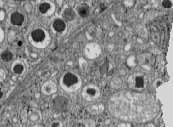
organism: C57BL Mouse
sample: Pancreatic islet